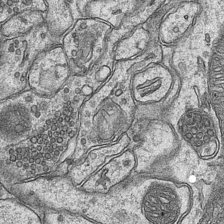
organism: Mouse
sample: CA1 Hippocampus